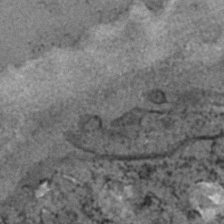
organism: C. elegans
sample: C. elegans embryo